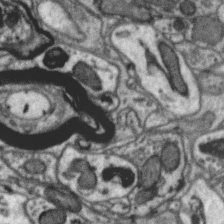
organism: Zebra finch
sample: Brain